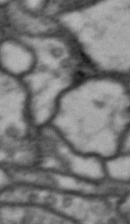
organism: Drosophila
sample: Brain